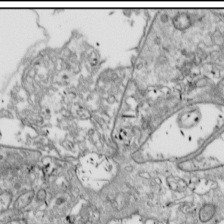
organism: Drosophila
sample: Cell division; meiosis; drosophila spermatocytes